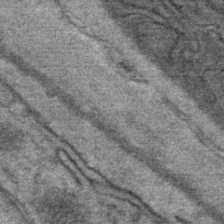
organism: Mouse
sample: Mouse Salivary gland